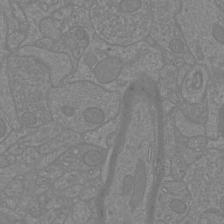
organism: Mouse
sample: Cortical neurons